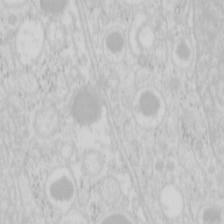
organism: Mouse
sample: Pancreas